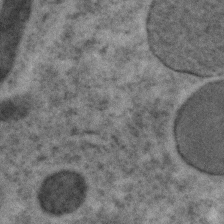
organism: C. elegans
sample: C. elegans embryo